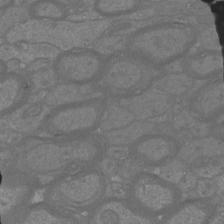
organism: Mouse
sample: Cortical neurons